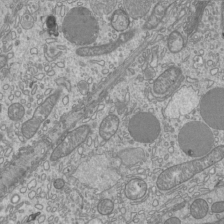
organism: Mouse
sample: Cilia; mouse epididymis